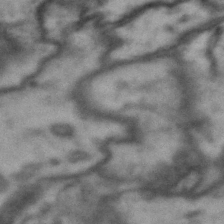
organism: Drosophila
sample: Brain